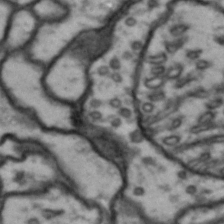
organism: Drosophila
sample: Brain